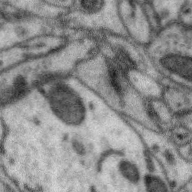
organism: Zebra finch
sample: Brain